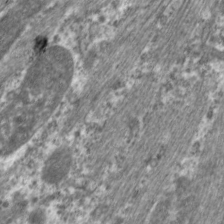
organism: C. elegans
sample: Pharynx